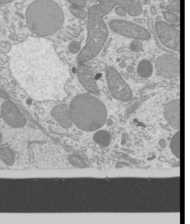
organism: Mouse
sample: Cilia; mouse epididymis